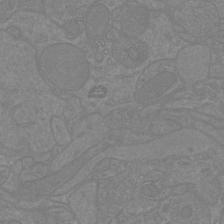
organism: Mouse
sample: Cortical neurons